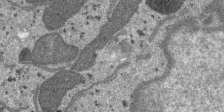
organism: Human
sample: Lung epithelial cells infected with SARS-CoV-2